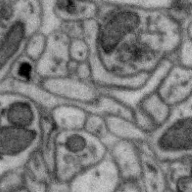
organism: Zebra finch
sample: Brain